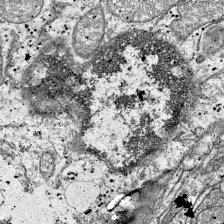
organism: Mouse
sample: Visual Cortex